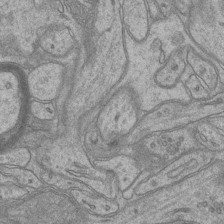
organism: Mouse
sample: CA1 Hippocampus